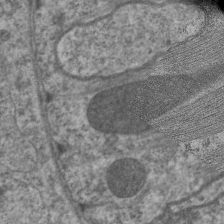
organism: C. elegans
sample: Pharynx